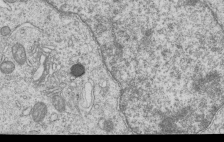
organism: Human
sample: MDA-MB-231 cells